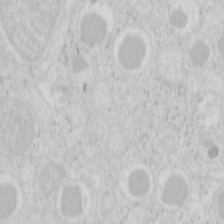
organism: Mouse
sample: Pancreas